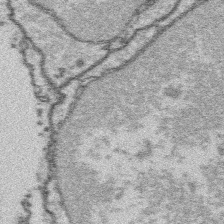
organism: Platynereis dumerilii